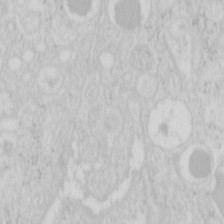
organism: Mouse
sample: Pancreas